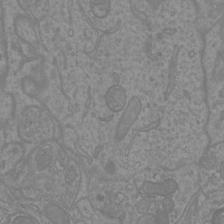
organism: Mouse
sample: Cortical neurons